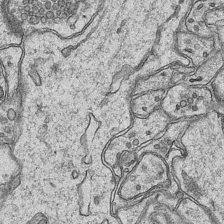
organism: Mouse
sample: CA1 Hippocampus